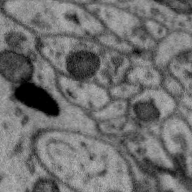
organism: Zebra finch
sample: Brain